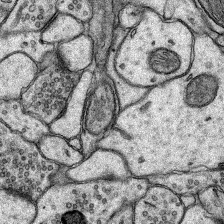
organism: Rat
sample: Hippocampus